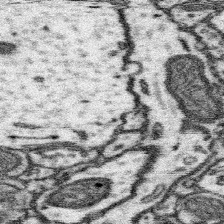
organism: Mouse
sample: Somatosensory cortex neuropil